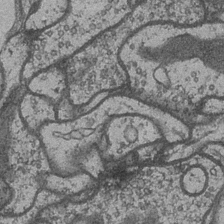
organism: Drosophila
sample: Optic medulla